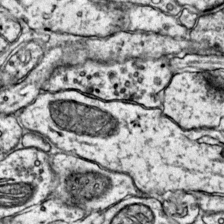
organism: Mouse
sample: Primary visual cortex